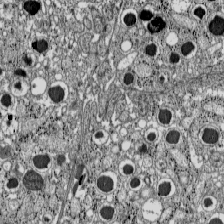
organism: C57BL Mouse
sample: Pancreatic islet